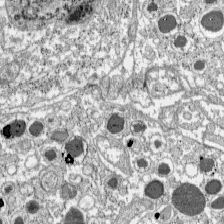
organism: C57BL Mouse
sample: Pancreatic islet